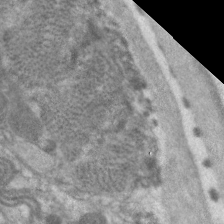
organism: C. elegans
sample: Pharynx